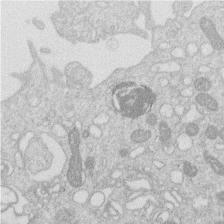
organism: Human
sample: Macrophage cells